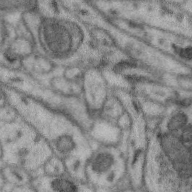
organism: Zebra finch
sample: Brain